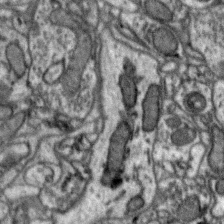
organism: Zebra finch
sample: Brain